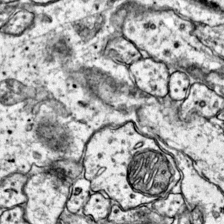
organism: Mouse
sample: Primary visual cortex